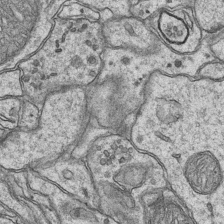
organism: Mouse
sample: CA1 Hippocampus